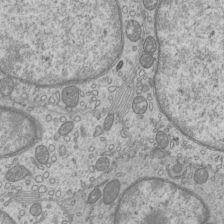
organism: Mouse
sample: Cilia; mouse epididymis